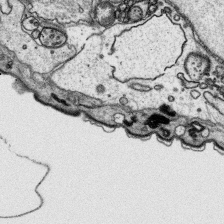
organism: Platynereis dumerilii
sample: Parapodia